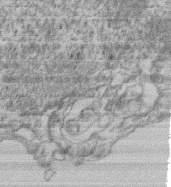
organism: Mouse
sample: T cell stromal cell synapse